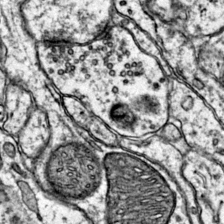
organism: Mouse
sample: Primary visual cortex